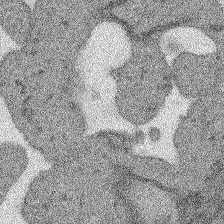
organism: Human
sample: HeLa cells